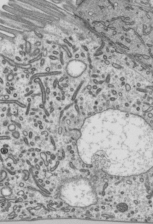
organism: Mouse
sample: Mouse epididymis efferent ductule cilia